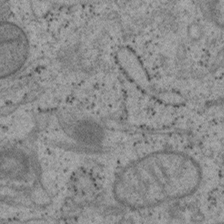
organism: Human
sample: HeLa cells